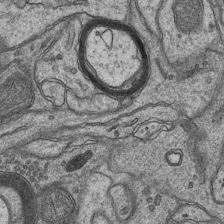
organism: Mouse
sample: CA1 Hippocampus